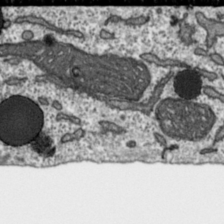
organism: Toxoplasma gondii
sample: Parasites in a vacuole inside a host cell